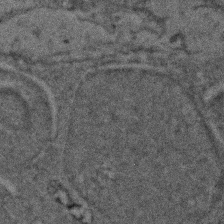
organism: Zebrafish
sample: Zebrafish embryo